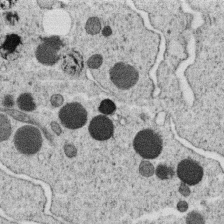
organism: C. elegans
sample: C. elegans oocyte; sperm cells